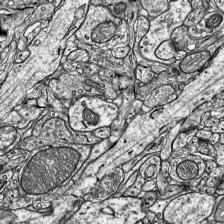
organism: Mouse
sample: Visual Cortex